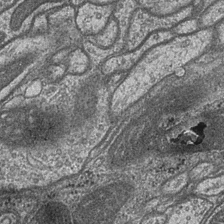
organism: Drosophila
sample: Optic medulla